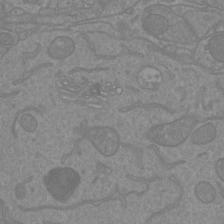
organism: Mouse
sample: Cortical neurons